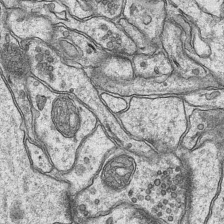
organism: Mouse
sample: CA1 Hippocampus